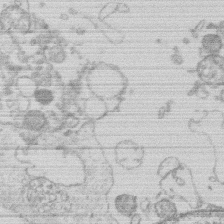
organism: Human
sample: Macrophage cells